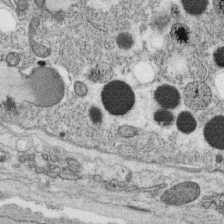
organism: C. elegans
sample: C. elegans oocyte; sperm cells